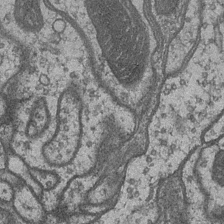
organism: Drosophila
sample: Optic medulla